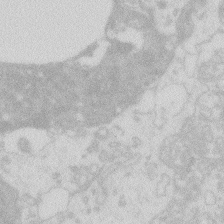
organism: Zebrafish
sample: Macrophage